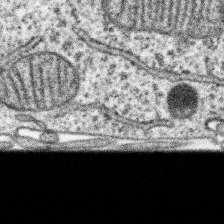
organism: Human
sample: HeLa cells